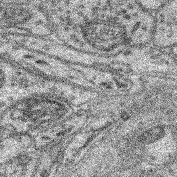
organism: Mouse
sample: Retina